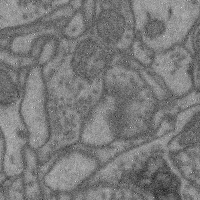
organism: Mouse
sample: Cerebral cortex